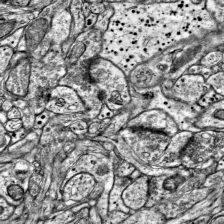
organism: Mouse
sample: Visual Cortex